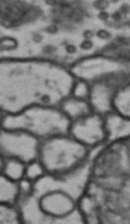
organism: Drosophila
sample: Brain